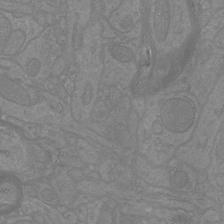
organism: Mouse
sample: Cortical neurons